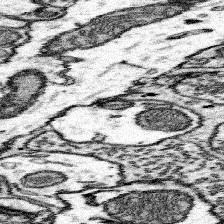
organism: Mouse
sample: Somatosensory cortex neuropil